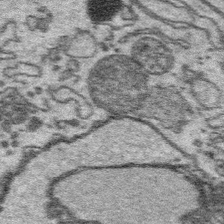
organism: Platynereis dumerilii